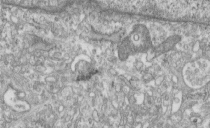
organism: Human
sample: Centriole in fibroblast cells